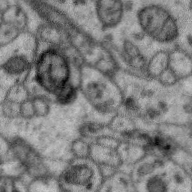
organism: Zebra finch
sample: Brain